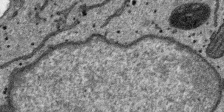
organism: Human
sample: Lung epithelial cells, uninfected (mock) control